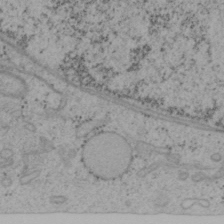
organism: Human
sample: HeLa cells